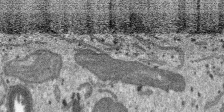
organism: Human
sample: Lung epithelial cells infected with SARS-CoV-2